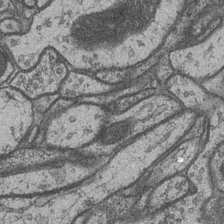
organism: Drosophila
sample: Optic medulla